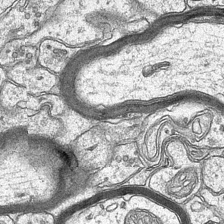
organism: Mouse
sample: CA1 Hippocampus